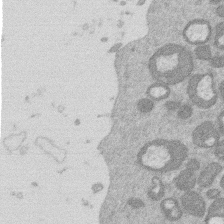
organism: Mouse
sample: Dividing mouse embryo 1 cell stage